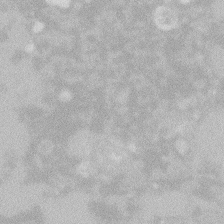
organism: Zebrafish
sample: Macrophage